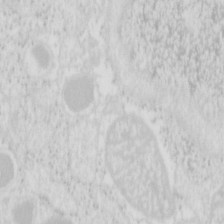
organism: Mouse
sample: Pancreas